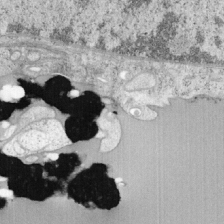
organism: Human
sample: HeLa cells